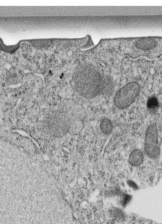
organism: C. elegans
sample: C. elegans embryo early stage